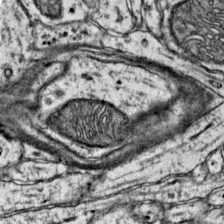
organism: Mouse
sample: Primary visual cortex